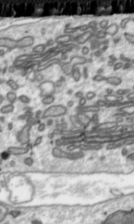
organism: Toxoplasma gondii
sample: Parasites in a vacuole inside a host cell